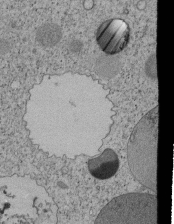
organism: Tetrahymena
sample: Cilia in tetrahymena